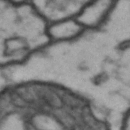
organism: Drosophila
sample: Brain